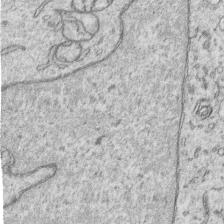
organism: Human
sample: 1205lu cells